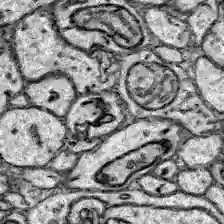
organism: Zebrafish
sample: Brain